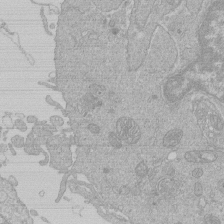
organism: Human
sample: Macrophage cells